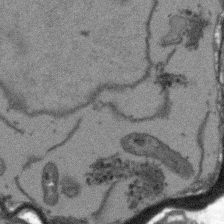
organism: Arabidopsis thaliana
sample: Root tip